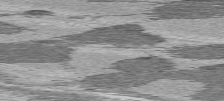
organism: C57BL Mouse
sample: Heart